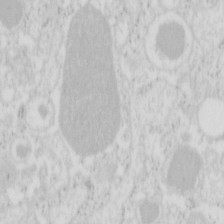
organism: Mouse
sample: Pancreas